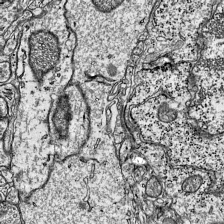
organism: Mouse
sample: Visual Cortex